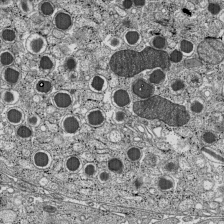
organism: C57BL Mouse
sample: Pancreatic islet